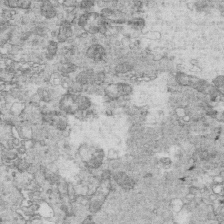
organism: Mouse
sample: Multiciliated cells